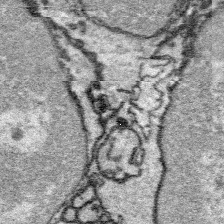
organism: Platynereis dumerilii